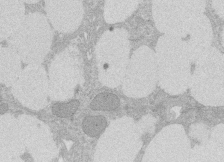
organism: Rat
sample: Salivary granule